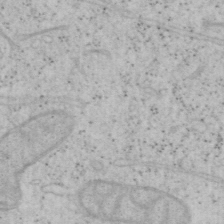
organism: Human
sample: HeLa cells